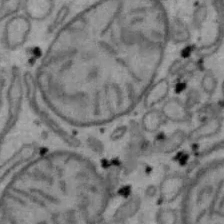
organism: Mouse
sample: Liver